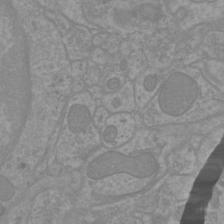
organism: Mouse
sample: Cortical neurons